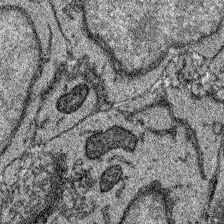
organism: Zebrafish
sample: Larval olfactory bulb